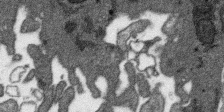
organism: Human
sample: Lung epithelial cells infected with SARS-CoV-2